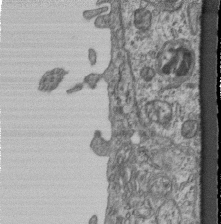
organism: Mouse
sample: Centriole in ependymal cells